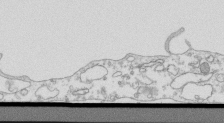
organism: Mouse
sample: Macrophages